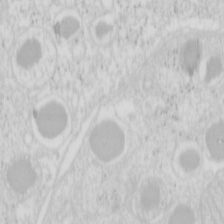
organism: Mouse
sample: Pancreas